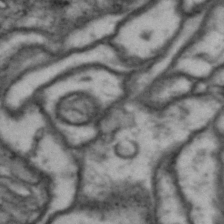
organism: Drosophila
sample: Brain